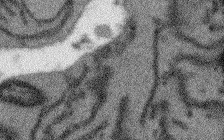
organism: Arabidopsis thaliana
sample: Root tip